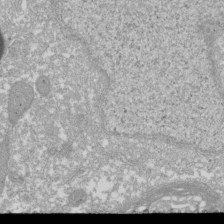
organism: Xenopus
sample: Cilia; centrioles in frog embryo cells